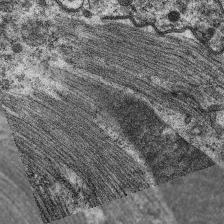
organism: C. elegans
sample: Pharynx